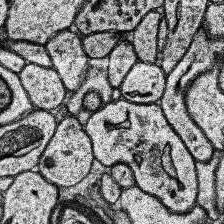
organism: Human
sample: Temporal Lobe